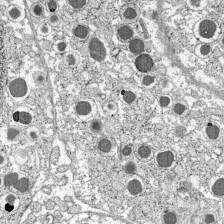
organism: C57BL Mouse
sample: Pancreatic islet